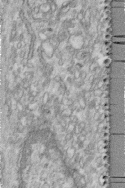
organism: Human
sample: Centriole in fibroblast cells